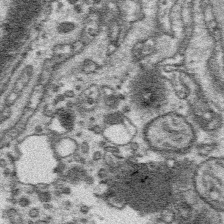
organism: Platynereis dumerilii